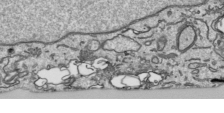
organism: Human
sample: Mitochondria in HCT116 cells